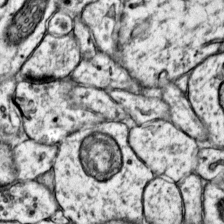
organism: Mouse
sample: Primary visual cortex